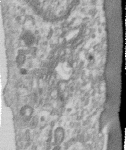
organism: Human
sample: Centriole in RPE cells